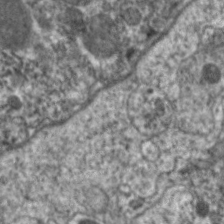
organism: C. elegans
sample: Pharynx